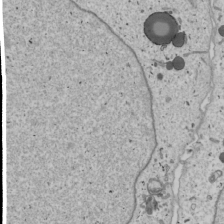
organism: Human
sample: Mitochondria in U2OS cells